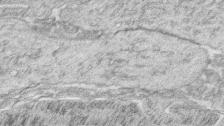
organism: Zebrafish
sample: synaptic ribbons in rod cells and cone cells